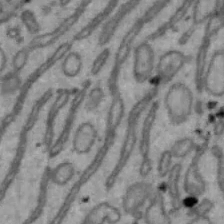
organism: Mouse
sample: Liver